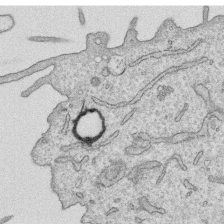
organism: Human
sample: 1205lu cells